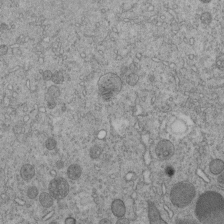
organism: C. elegans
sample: C. elegans embryo early stage